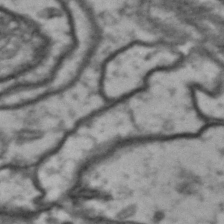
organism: Drosophila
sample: Brain